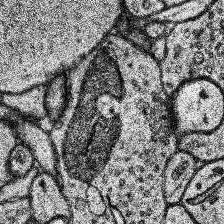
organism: Human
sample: Temporal Lobe